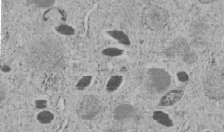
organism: C. elegans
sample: C. elegans embryo early stage